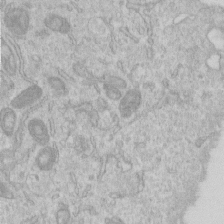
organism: Human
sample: Centriole in RPE cells